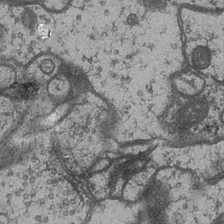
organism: Drosophila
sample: Optic medulla